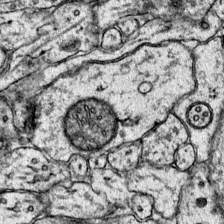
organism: Mouse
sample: Primary visual cortex